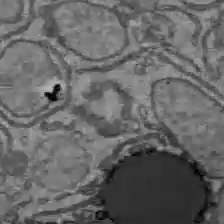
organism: C57BL Mouse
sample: Liver